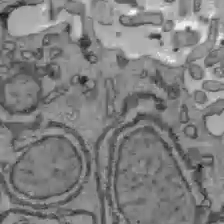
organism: C57BL Mouse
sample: Liver